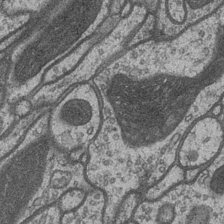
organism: Drosophila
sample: Optic medulla